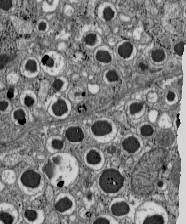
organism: C57BL Mouse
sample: Pancreatic islet